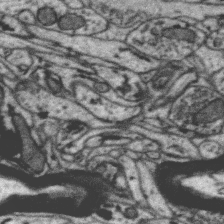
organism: Zebra finch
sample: Brain